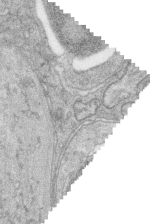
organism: Zebrafish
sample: synaptic ribbons in rod cells and cone cells